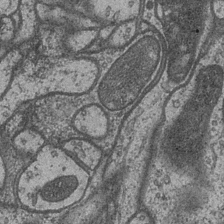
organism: Drosophila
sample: Optic medulla